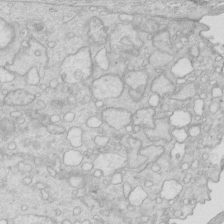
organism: Mouse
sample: Multiciliated cells